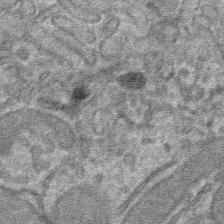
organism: Mouse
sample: Mouse hepatocytes